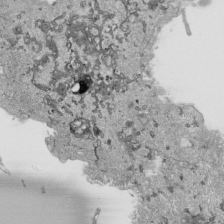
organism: Human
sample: Mitochondria in HCT116 cells